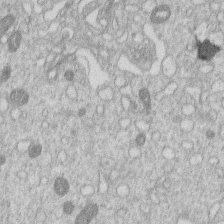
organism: Human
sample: Macrophage cells